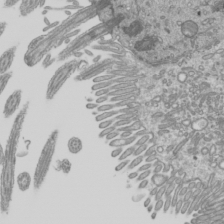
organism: Mouse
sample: Cilia; mouse epididymis